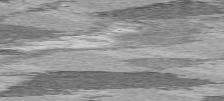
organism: C57BL Mouse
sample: Heart